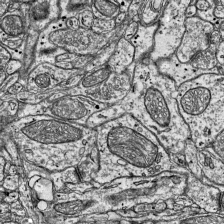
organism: Mouse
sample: Visual Cortex